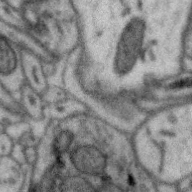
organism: Zebra finch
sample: Brain